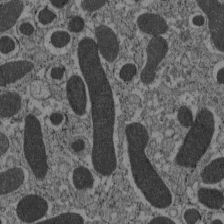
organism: C57BL Mouse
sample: Pancreatic islet